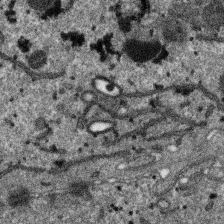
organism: Human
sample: Lung epithelial cells infected with SARS-CoV-2